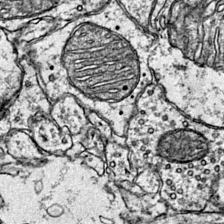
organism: Mouse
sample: Primary visual cortex